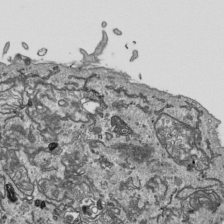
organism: Human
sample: Mitochondria in HCT116 cells